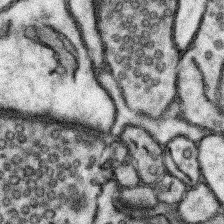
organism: Mouse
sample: Somatosensory cortex neuropil